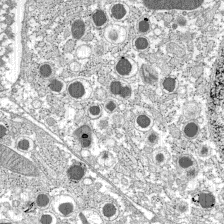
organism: C57BL Mouse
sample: Pancreatic islet